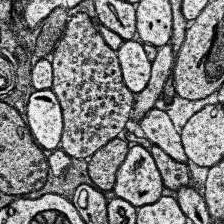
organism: Human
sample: Temporal Lobe